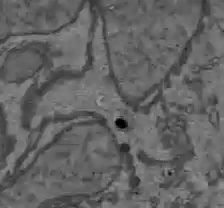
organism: C57BL Mouse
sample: Liver